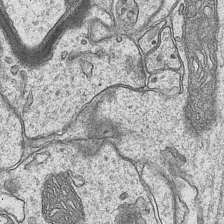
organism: Mouse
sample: CA1 Hippocampus